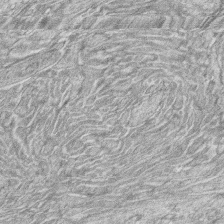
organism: Zebrafish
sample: synaptic ribbons in rod cells and cone cells